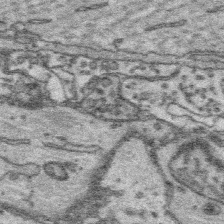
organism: Platynereis dumerilii